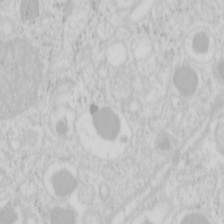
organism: Mouse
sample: Pancreas